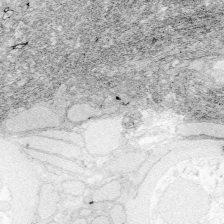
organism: Zebrafish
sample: Whole-Brain